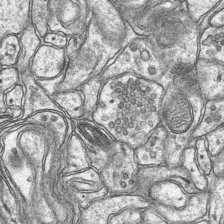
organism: Mouse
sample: CA1 Hippocampus